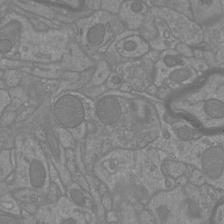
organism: Mouse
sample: Cortical neurons